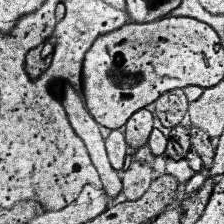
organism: Human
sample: Temporal Lobe